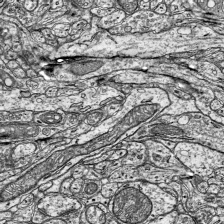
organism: Mouse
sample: Visual Cortex